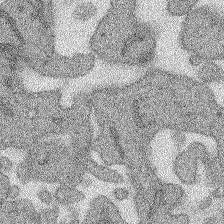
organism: Human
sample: HeLa cells